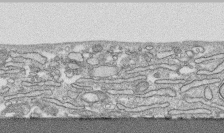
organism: Human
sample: CRL-1474